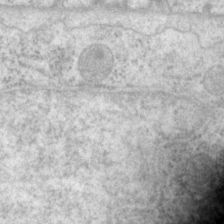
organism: P. pacificus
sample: Pharynx